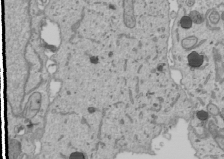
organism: Human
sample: Mitochondria in U2OS cells